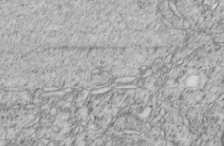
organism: C. elegans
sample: C. elegans embryo early stage